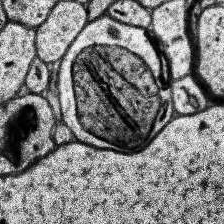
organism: Human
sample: Temporal Lobe